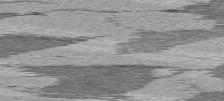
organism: C57BL Mouse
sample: Heart